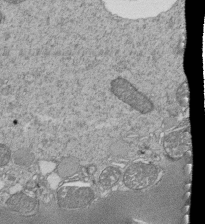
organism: Tetrahymena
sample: Cilia in tetrahymena